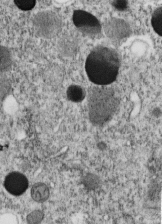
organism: C. elegans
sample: C. elegans embryo early stage